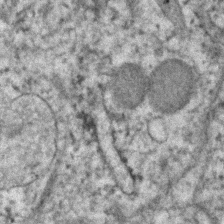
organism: Human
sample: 1205lu cells